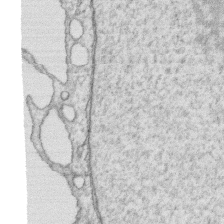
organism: Human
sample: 1205lu cells